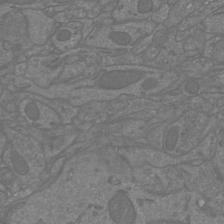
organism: Mouse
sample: Cortical neurons